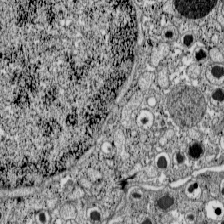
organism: C57BL Mouse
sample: Pancreatic islet